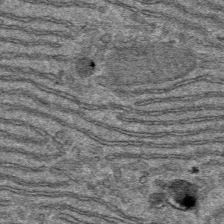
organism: Mouse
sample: Mouse hepatocytes